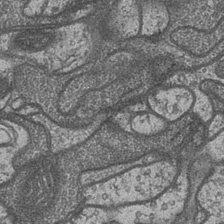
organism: Drosophila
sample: Optic medulla